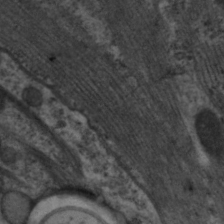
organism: C. elegans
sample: Pharynx